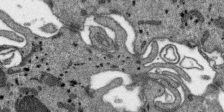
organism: Human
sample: Lung epithelial cells, uninfected (mock) control